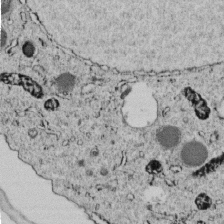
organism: C. elegans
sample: C. elegans embryo early stage